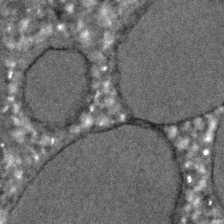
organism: C. elegans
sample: C. elegans embryo